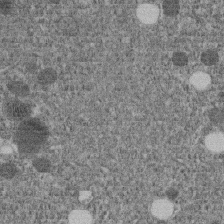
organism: C. elegans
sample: C. elegans embryo early stage